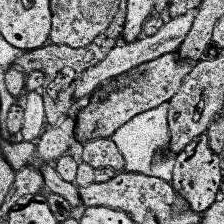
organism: Human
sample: Temporal Lobe